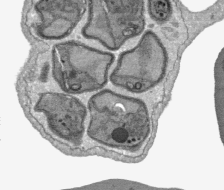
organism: Plasmodium falciparum